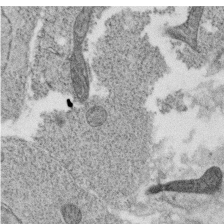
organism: C. elegans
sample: C. elegans oocyte; sperm cells